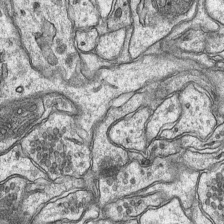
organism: Mouse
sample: CA1 Hippocampus